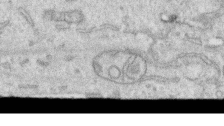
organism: Human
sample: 1205lu cells